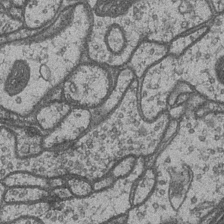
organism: Drosophila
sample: Optic medulla